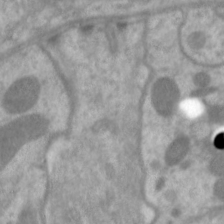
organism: C. elegans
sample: Pharynx